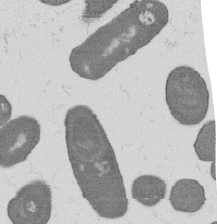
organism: B. subtilis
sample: Bacterial spore